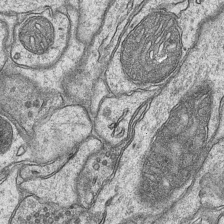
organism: Mouse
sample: CA1 Hippocampus